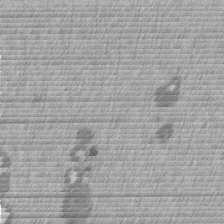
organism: Mouse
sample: Dividing mouse embryo 1 cell stage